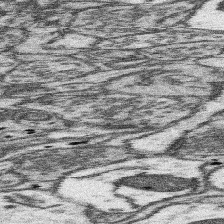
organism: Mouse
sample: Somatosensory cortex neuropil